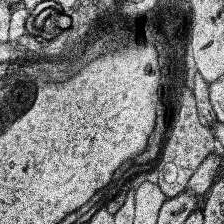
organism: Human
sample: Temporal Lobe